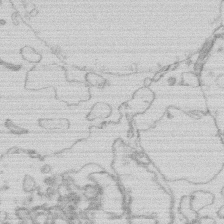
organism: Human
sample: Macrophage cells